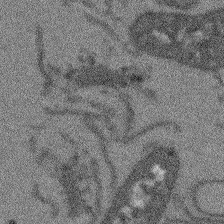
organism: Arabidopsis thaliana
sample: Root tip